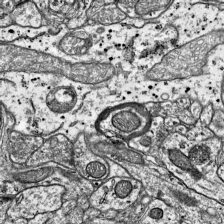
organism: Mouse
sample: Visual Cortex